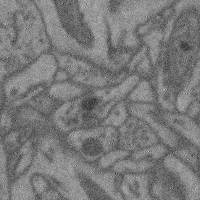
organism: Mouse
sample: Cerebral cortex